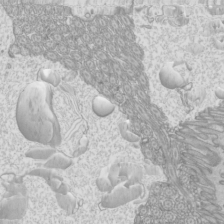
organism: Mouse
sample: Cilia; mouse epididymis